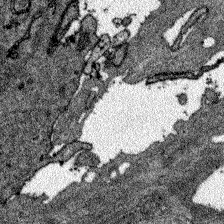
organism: Zebrafish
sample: Larval olfactory bulb